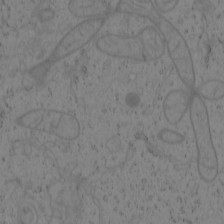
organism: Human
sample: HeLa cells